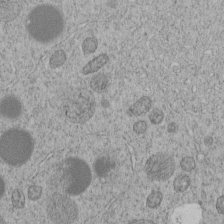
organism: C. elegans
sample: C. elegans embryo early stage